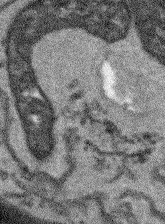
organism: Arabidopsis thaliana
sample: Root tip